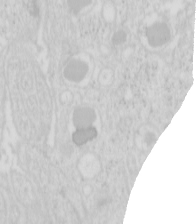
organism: Mouse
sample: Pancreas